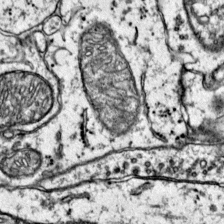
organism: Mouse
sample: Primary visual cortex